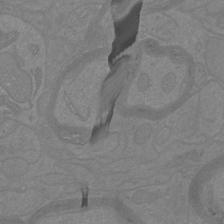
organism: Mouse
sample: Cortical neurons